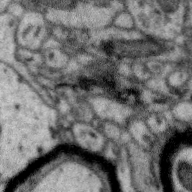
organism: Zebra finch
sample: Brain